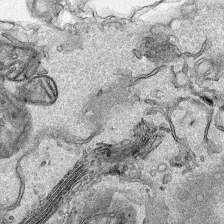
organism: Human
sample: Mitochondria in HCT116 cells